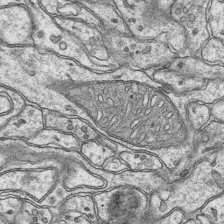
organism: Mouse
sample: CA1 Hippocampus